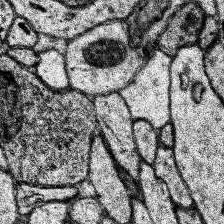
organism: Human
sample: Temporal Lobe